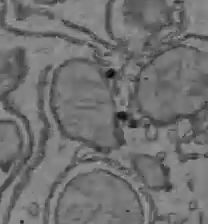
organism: C57BL Mouse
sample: Liver